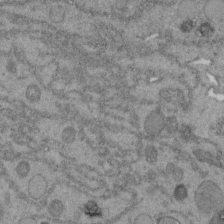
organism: C. elegans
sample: C. elegans embryo early stage